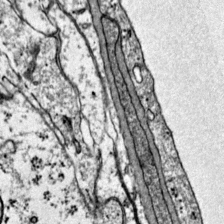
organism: Mouse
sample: Primary visual cortex